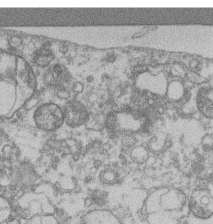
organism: Mouse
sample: T cell stromal cell synapse